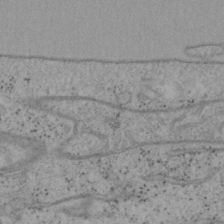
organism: Human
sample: HeLa cells